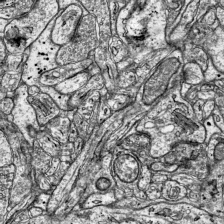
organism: Mouse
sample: Visual Cortex